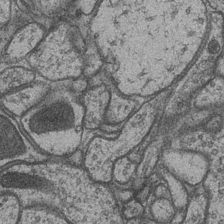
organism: Drosophila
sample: Optic medulla